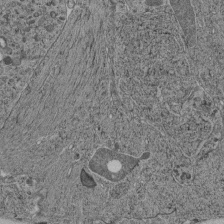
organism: C. elegans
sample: C. elegans pharynx